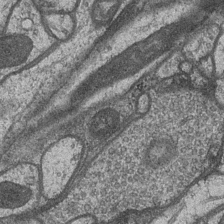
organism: Drosophila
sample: Optic medulla